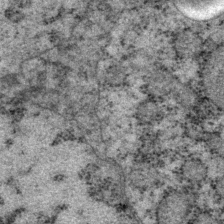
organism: P. pacificus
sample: Pharynx